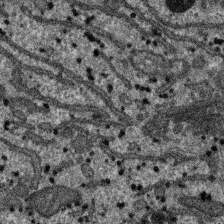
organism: Human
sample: Lung epithelial cells infected with SARS-CoV-2